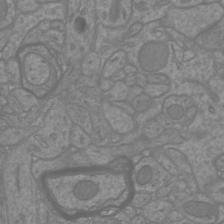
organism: Mouse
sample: Cortical neurons